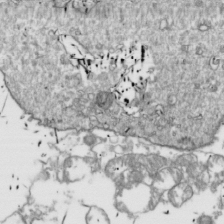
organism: Drosophila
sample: Cell division; meiosis; drosophila spermatocytes